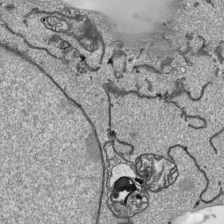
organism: Human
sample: Mitochondria in HCT116 cells